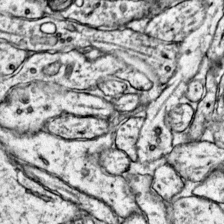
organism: Mouse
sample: Primary visual cortex